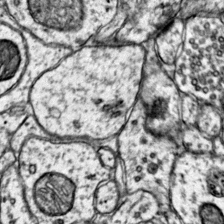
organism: Mouse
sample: Primary visual cortex